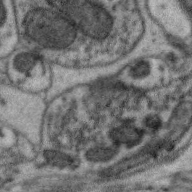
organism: Zebra finch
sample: Brain